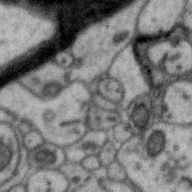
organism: Zebra finch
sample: Brain